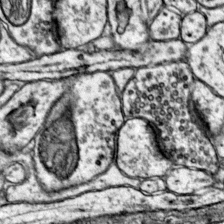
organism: Mouse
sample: Primary visual cortex